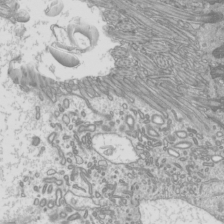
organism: Mouse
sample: Cilia; mouse epididymis